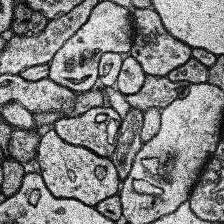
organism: Human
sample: Temporal Lobe